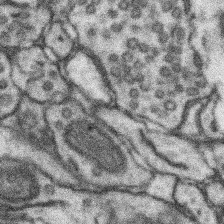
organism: Mouse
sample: Somatosensory cortex neuropil